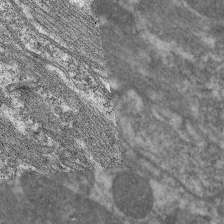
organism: C. elegans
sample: Pharynx